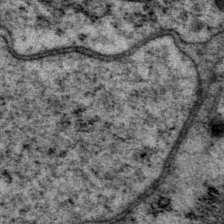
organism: P. pacificus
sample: Pharynx